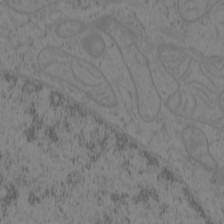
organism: Human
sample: HeLa cells